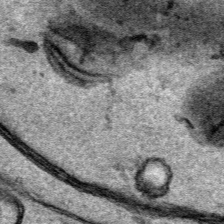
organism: Human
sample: Mitochondria in HCT116 cells